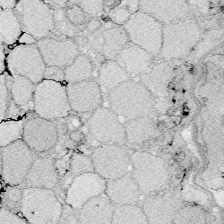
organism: Zebrafish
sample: Whole-Brain